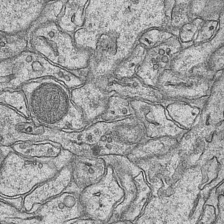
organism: Mouse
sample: CA1 Hippocampus